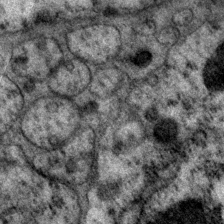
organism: P. pacificus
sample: Pharynx